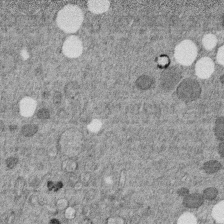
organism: C. elegans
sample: C. elegans embryo early stage